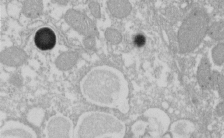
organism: Xenopus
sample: Cilia; centrioles in frog embryo cells